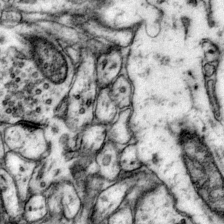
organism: Mouse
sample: Primary visual cortex